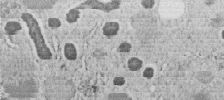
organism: C. elegans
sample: C. elegans embryo early stage